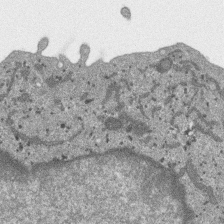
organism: Human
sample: Lung epithelial cells infected with SARS-CoV-2